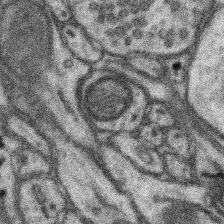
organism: Mouse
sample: Somatosensory cortex neuropil